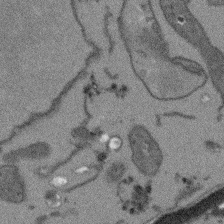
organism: Arabidopsis thaliana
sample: Root tip